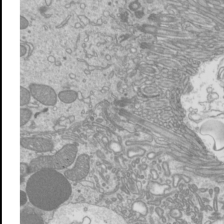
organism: Mouse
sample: Cilia; mouse epididymis